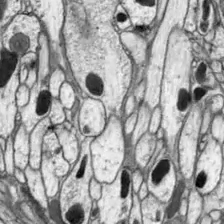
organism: Drosophila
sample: Optic lobe